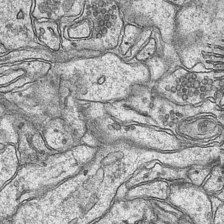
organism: Mouse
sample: CA1 Hippocampus